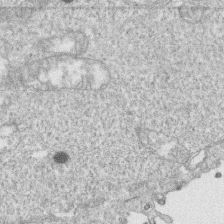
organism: Human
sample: HeLa cell HIV synapse